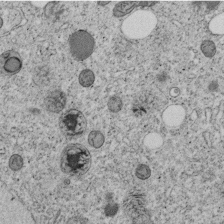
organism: C. elegans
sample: C. elegans embryo early stage